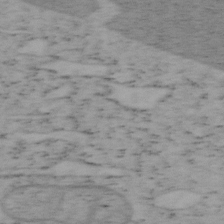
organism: Mouse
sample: OT-I killer T cells with ID8 ovarian cancer cells